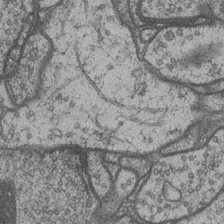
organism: Drosophila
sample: Optic medulla